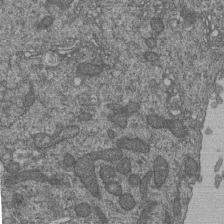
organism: Human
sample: Retinal organoid Rod and Cone cells